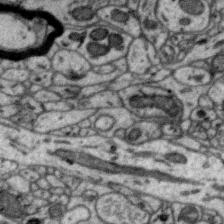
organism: Zebra finch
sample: Brain